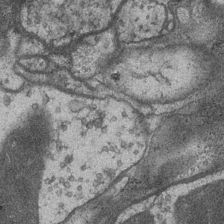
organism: Drosophila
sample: Optic medulla